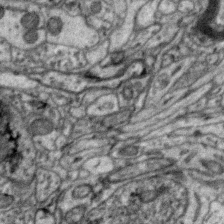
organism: Zebra finch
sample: Brain